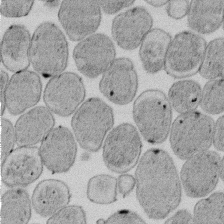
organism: E. coli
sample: Bacterial nucleoid